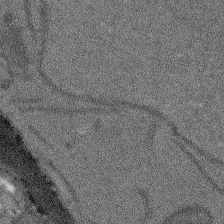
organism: Arabidopsis thaliana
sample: Root tip